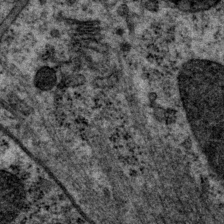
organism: P. pacificus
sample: Pharynx